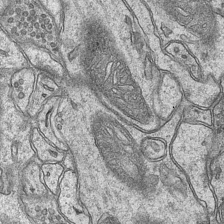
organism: Mouse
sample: CA1 Hippocampus